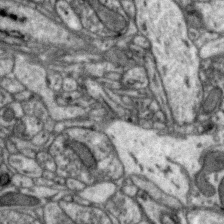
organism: Zebra finch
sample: Brain